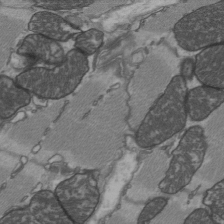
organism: C57BL Mouse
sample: Heart